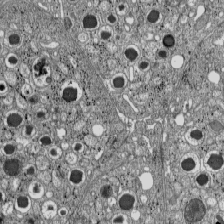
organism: C57BL Mouse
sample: Pancreatic islet